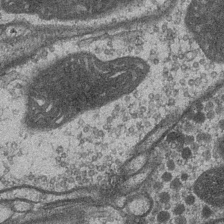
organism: Drosophila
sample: Optic medulla